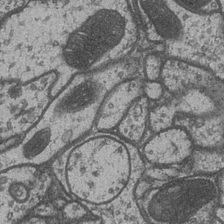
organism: Drosophila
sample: Optic medulla